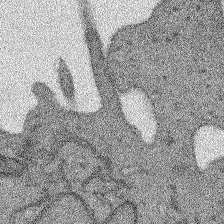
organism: Human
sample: HeLa cells